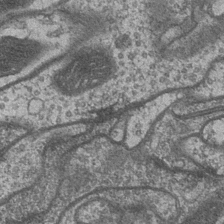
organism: Drosophila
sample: Optic medulla